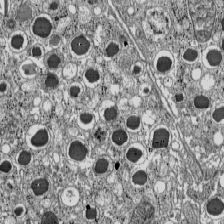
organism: C57BL Mouse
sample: Pancreatic islet